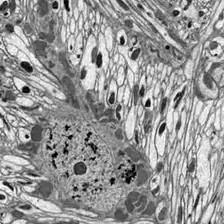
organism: Drosophila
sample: Optic lobe